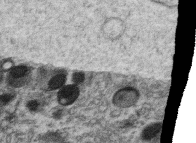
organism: C. elegans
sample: C. elegans oocyte; sperm cells